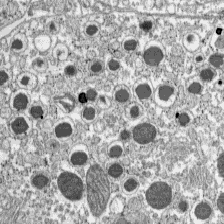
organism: C57BL Mouse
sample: Pancreatic islet